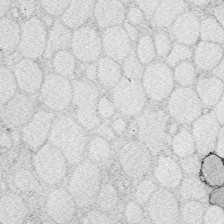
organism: Zebrafish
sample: Whole-Brain